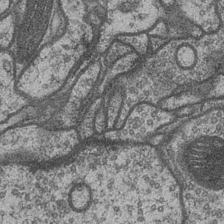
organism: Drosophila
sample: Optic medulla